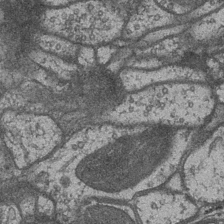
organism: Drosophila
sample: Optic medulla